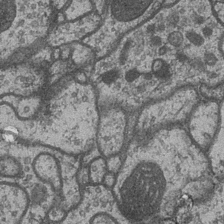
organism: Drosophila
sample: Optic medulla